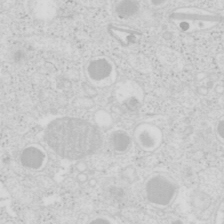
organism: Mouse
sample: Pancreas